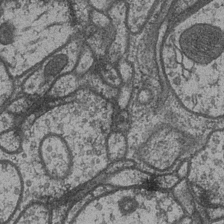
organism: Drosophila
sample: Optic medulla